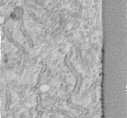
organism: Human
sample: Centriole in fibroblast cells